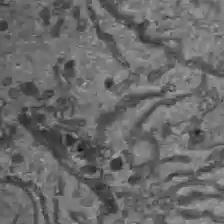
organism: C57BL Mouse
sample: Liver